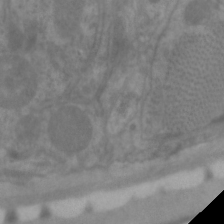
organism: C. elegans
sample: Pharynx